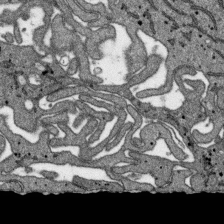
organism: Human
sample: Lung epithelial cells, uninfected (mock) control